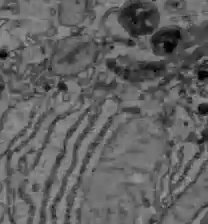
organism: C57BL Mouse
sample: Liver